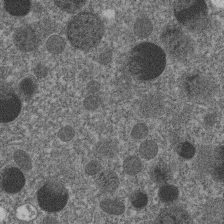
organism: C. elegans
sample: C. elegans embryo early stage